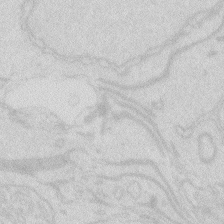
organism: Zebrafish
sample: Macrophage